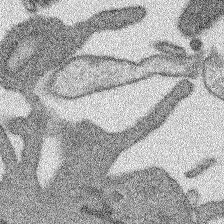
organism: Human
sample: HeLa cells